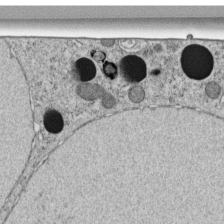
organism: C. elegans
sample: C. elegans embryo early stage